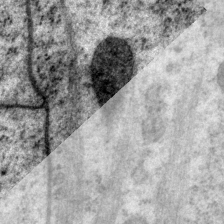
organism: P. pacificus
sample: Pharynx